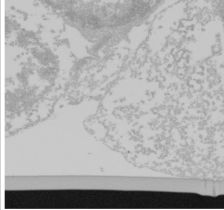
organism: Mouse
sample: Cancer cell death in ED-1 cells